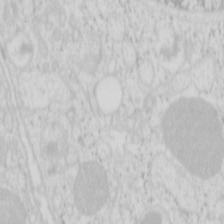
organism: Mouse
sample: Pancreas